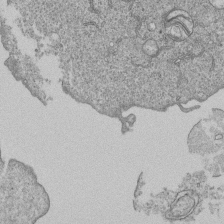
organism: Human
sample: MDA-MB-231 cells